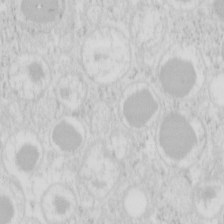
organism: Mouse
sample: Pancreas